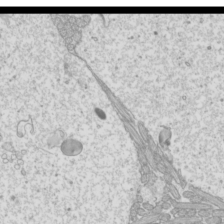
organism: Mouse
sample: Cilia; mouse epididymis